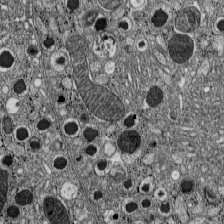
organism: C57BL Mouse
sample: Pancreatic islet